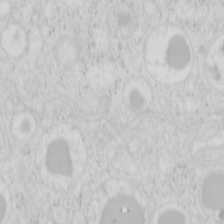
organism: Mouse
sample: Pancreas